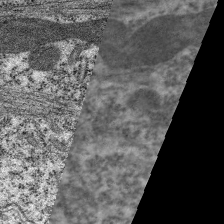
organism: C. elegans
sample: Pharynx